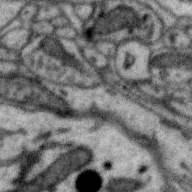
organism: Zebra finch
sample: Brain